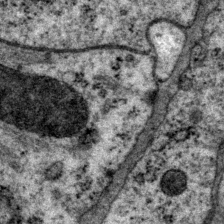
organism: P. pacificus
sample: Pharynx